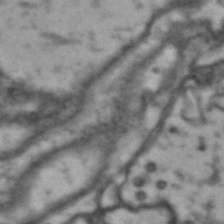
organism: Drosophila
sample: Brain